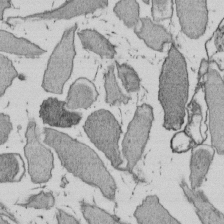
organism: E. coli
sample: Bacterial nucleoid